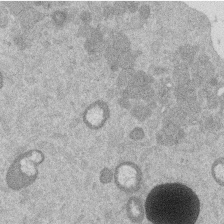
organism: Mouse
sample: Dividing mouse embryo 1 cell stage